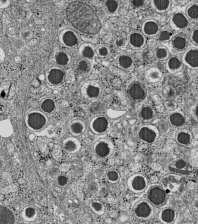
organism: C57BL Mouse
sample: Pancreatic islet